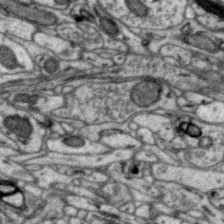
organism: Zebra finch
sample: Brain